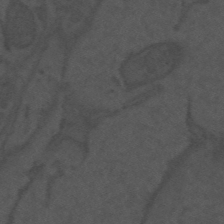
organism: Mouse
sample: Suprachiasmatic nucleus